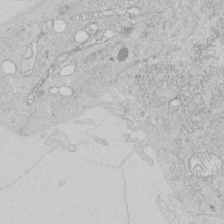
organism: Human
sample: Mitochondria in HCT116 cells